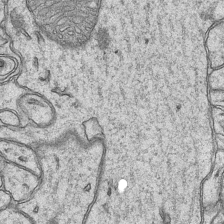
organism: Mouse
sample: CA1 Hippocampus